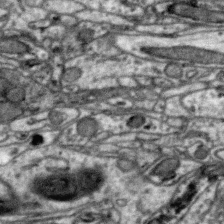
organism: Zebra finch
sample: Brain